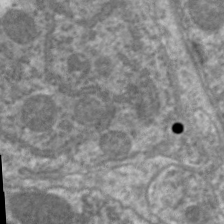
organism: C. elegans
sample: Pharynx